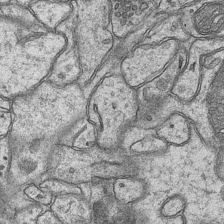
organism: Mouse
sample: CA1 Hippocampus